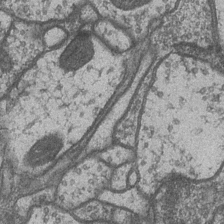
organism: Drosophila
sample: Optic medulla